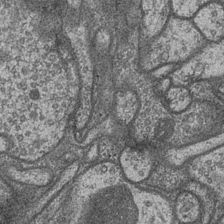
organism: Drosophila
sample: Optic medulla